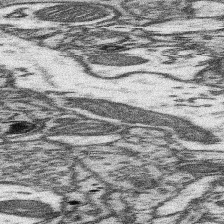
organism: Mouse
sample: Somatosensory cortex neuropil